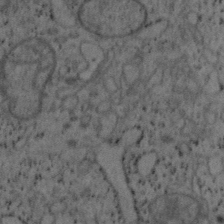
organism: Human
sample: HeLa cells